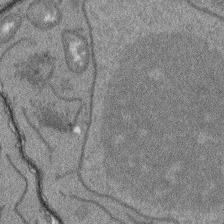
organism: Arabidopsis thaliana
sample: Root tip